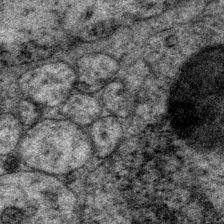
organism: P. pacificus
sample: Pharynx